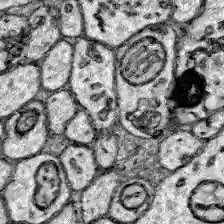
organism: Zebrafish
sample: Brain